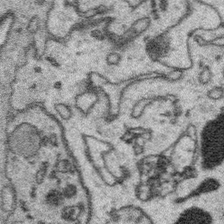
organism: Platynereis dumerilii